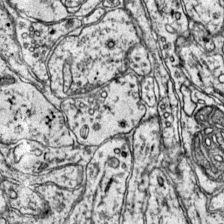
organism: Mouse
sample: Primary visual cortex